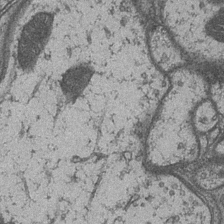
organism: Drosophila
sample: Optic medulla